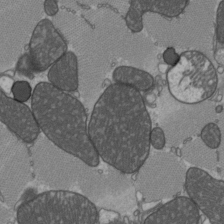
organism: C57BL Mouse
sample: Heart